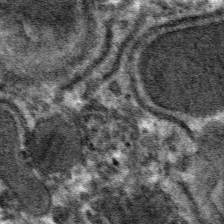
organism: Mouse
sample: Mouse hepatocytes